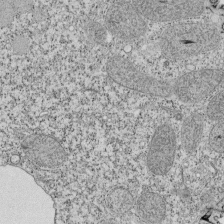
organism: Tetrahymena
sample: Cilia in tetrahymena